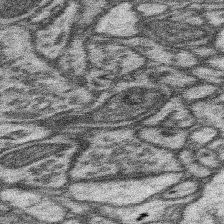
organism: Mouse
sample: Somatosensory cortex neuropil